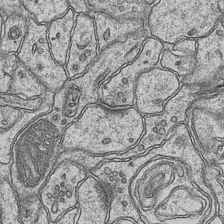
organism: Mouse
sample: CA1 Hippocampus